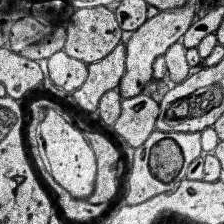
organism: Human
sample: Temporal Lobe